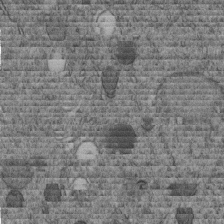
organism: C. elegans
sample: C. elegans embryo early stage